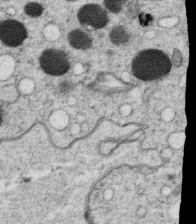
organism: C. elegans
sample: C. elegans oocyte; sperm cells